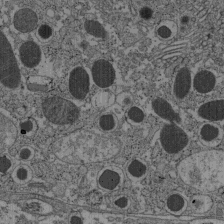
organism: C57BL Mouse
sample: Pancreatic islet